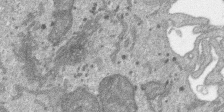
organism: Human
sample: Lung epithelial cells infected with SARS-CoV-2